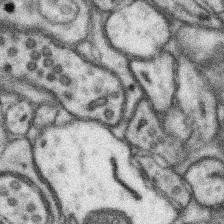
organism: Mouse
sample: Somatosensory cortex neuropil